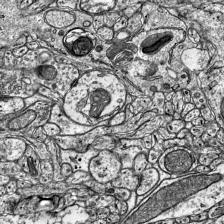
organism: Mouse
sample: Visual Cortex